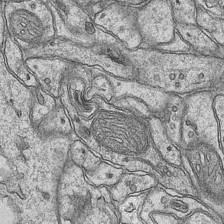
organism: Mouse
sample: CA1 Hippocampus